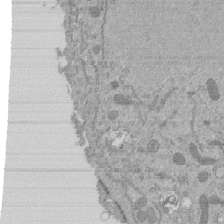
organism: Mouse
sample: ED-1 cell nuclei; centrioles